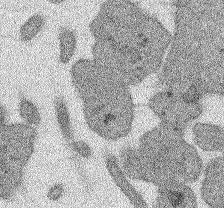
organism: Human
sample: HeLa cells